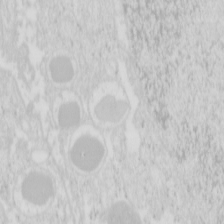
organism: Mouse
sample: Pancreas